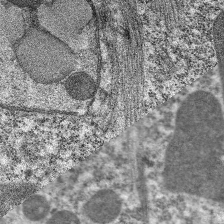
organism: C. elegans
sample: Pharynx